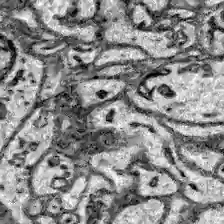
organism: Zebrafish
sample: Brain